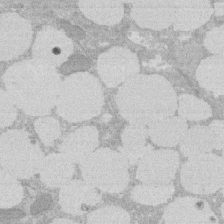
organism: Rat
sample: Salivary granule